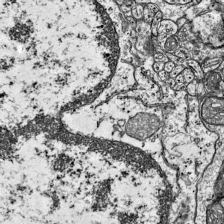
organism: Mouse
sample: Visual Cortex